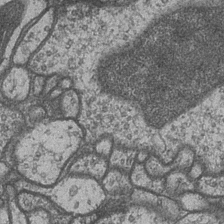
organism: Drosophila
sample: Optic medulla